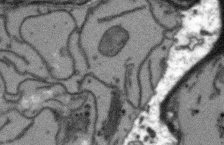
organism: Arabidopsis thaliana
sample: Root tip